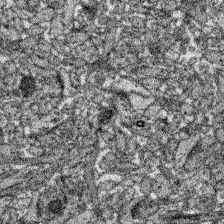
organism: Zebrafish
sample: Larval olfactory bulb